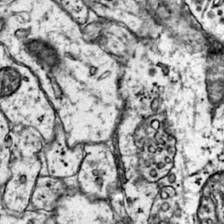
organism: Mouse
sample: Primary visual cortex